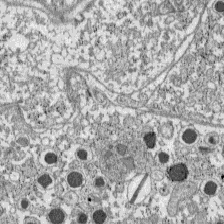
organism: C57BL Mouse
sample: Pancreatic islet